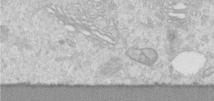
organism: Human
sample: Centriole in RPE cells